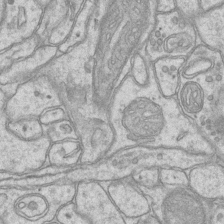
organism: Mouse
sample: CA1 Hippocampus